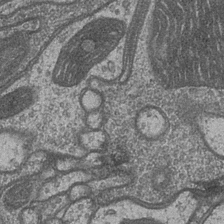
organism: Drosophila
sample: Optic medulla